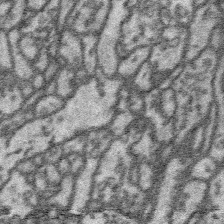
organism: Platynereis dumerilii